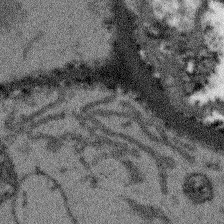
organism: Arabidopsis thaliana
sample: Root tip